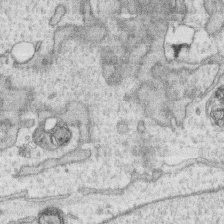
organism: Human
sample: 1205lu cells